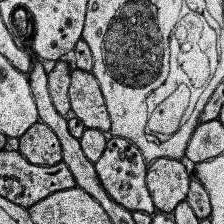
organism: Human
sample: Temporal Lobe